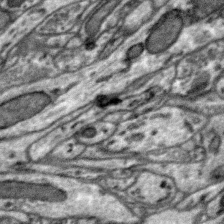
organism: Zebra finch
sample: Brain